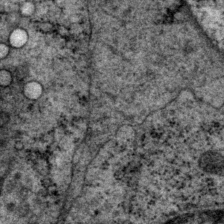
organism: P. pacificus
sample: Pharynx